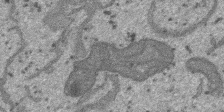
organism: Human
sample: Lung epithelial cells infected with SARS-CoV-2